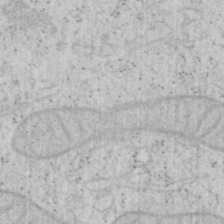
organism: Human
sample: HeLa cells